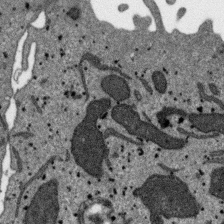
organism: Human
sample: Lung epithelial cells, uninfected (mock) control